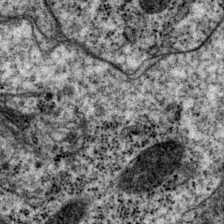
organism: P. pacificus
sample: Pharynx